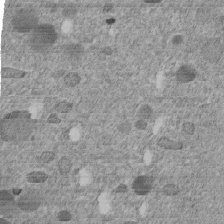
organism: C. elegans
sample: C. elegans embryo early stage